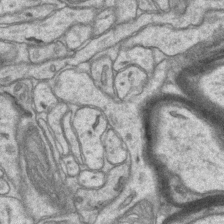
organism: Mouse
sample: CA1 Hippocampus